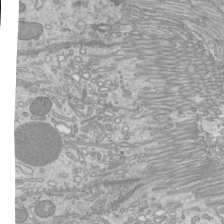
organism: Mouse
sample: Cilia; mouse epididymis